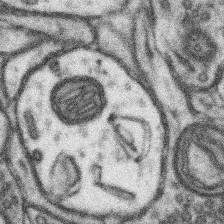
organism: Mouse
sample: Somatosensory cortex neuropil